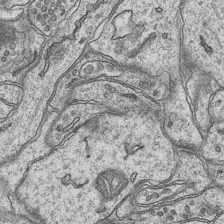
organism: Mouse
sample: CA1 Hippocampus